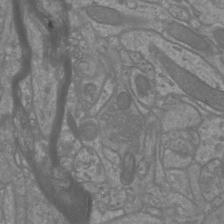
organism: Mouse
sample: Cortical neurons